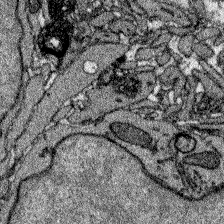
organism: Zebrafish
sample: Larval olfactory bulb